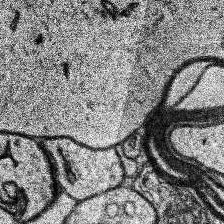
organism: Human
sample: Temporal Lobe